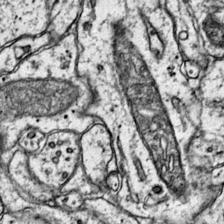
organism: Mouse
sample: Primary visual cortex